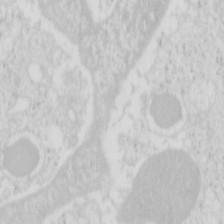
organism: Mouse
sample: Pancreas